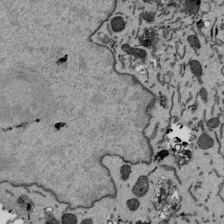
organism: Mouse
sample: ED-1 cell nuclei; centrioles